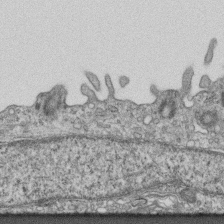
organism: Mouse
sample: Centriole in ependymal cells